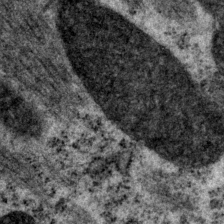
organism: P. pacificus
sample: Pharynx